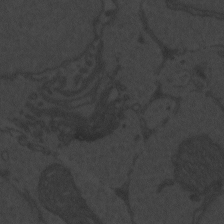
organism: Zebrafish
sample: Macrophage infected with Toxoplasma gondii